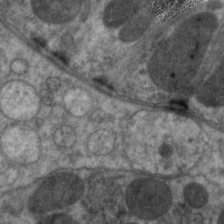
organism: C. elegans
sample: Pharynx